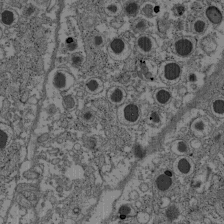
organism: C57BL Mouse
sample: Pancreatic islet